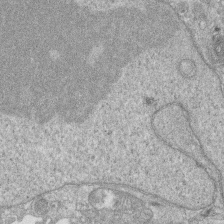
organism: Human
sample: HeLa cell HIV synapse